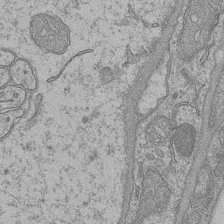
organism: Mouse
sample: CA1 Hippocampus